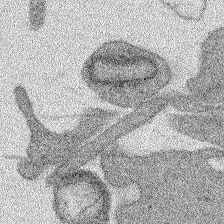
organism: Human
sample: HeLa cells